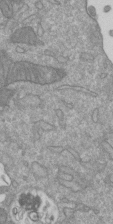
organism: Mouse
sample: ED-1 cell nuclei; centrioles